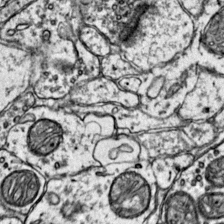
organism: Mouse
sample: Primary visual cortex